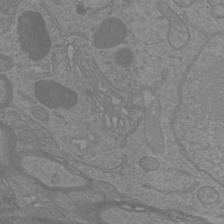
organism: Mouse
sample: Cortical neurons